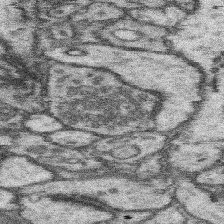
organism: Mouse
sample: Somatosensory cortex neuropil